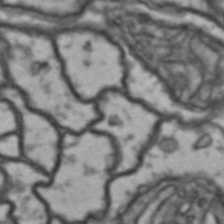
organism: Drosophila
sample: Brain